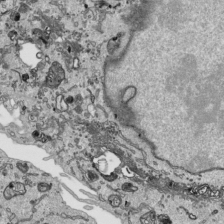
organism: Human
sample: Mitochondria in HCT116 cells